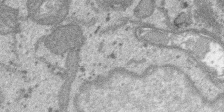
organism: Human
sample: Lung epithelial cells infected with SARS-CoV-2